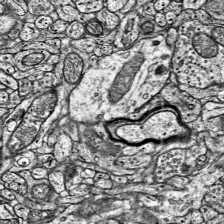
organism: Mouse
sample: Visual Cortex